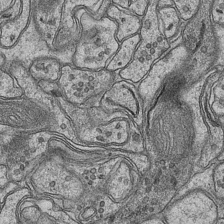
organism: Mouse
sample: CA1 Hippocampus